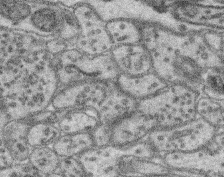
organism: Mouse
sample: Retina